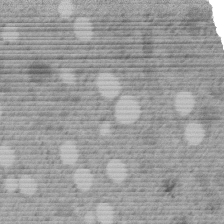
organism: C. elegans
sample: C. elegans embryo early stage